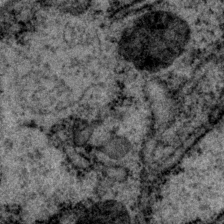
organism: P. pacificus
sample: Pharynx